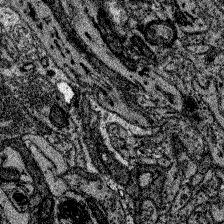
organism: Zebrafish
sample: Larval olfactory bulb